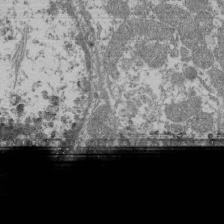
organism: Mouse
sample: Glomerulus